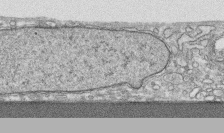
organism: Human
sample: CRL-1474